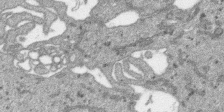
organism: Human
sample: Lung epithelial cells infected with SARS-CoV-2